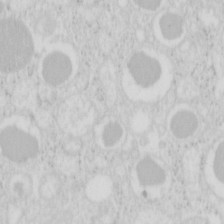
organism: Mouse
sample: Pancreas